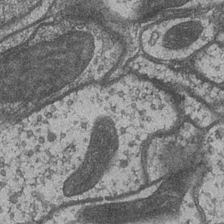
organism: Drosophila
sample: Optic medulla